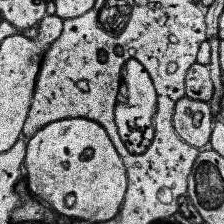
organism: Human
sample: Temporal Lobe